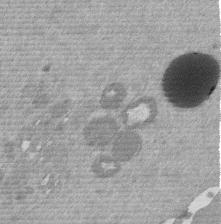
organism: Mouse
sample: Dividing mouse embryo 1 cell stage